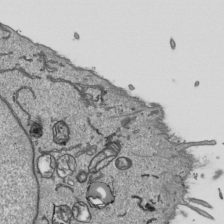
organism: Human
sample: Mitochondria in HCT116 cells